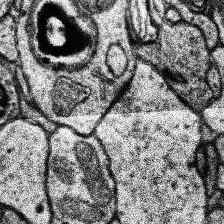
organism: Human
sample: Temporal Lobe